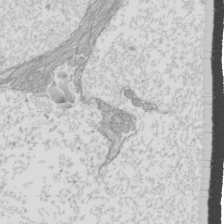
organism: Mouse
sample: Cilia; mouse epididymis